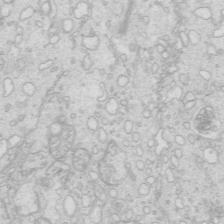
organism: Mouse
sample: Multiciliated cells